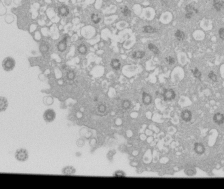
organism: Xenopus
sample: Cilia; centrioles in frog embryo cells